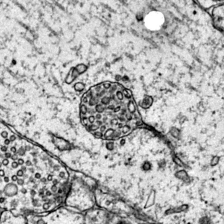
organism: Mouse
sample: Primary visual cortex